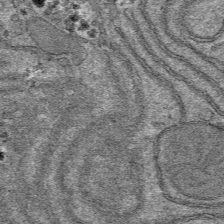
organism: Mouse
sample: Mouse hepatocytes